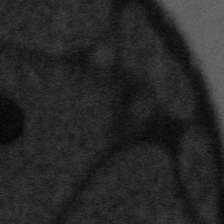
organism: Tuwongella immobilis